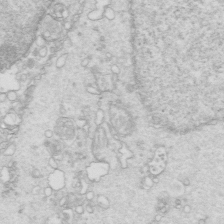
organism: Mouse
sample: Multiciliated cells